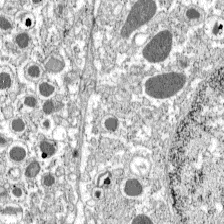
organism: C57BL Mouse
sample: Pancreatic islet